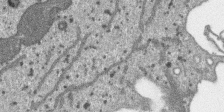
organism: Human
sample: Lung epithelial cells infected with SARS-CoV-2